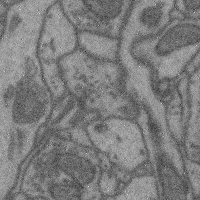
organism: Mouse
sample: Cerebral cortex